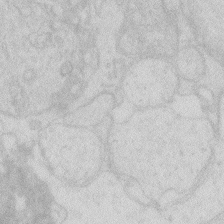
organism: Zebrafish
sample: Macrophage